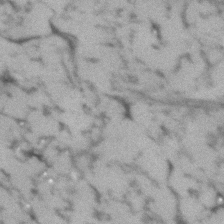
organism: Human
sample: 1205lu cells